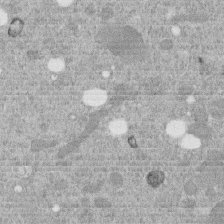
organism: C. elegans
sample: C. elegans embryo early stage